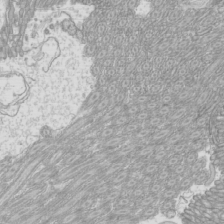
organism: Mouse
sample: Cilia; mouse epididymis